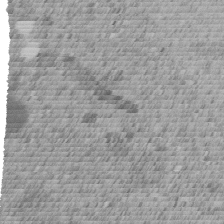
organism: C. elegans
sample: C. elegans embryo early stage